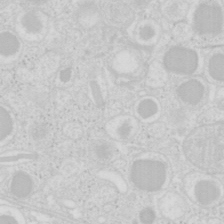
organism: Mouse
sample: Pancreas